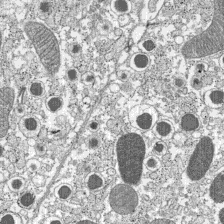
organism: C57BL Mouse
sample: Pancreatic islet